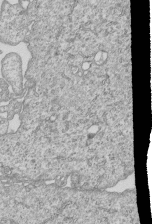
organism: Human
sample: MDA-MB-231 cells